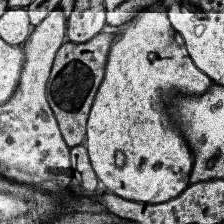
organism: Human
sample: Temporal Lobe